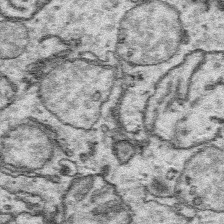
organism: Platynereis dumerilii